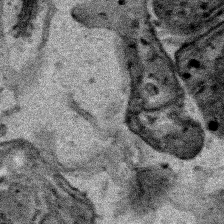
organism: Human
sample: Mitochondria in HCT116 cells